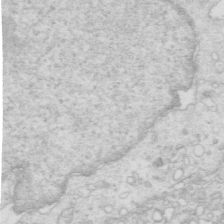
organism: Mouse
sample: Multiciliated cells